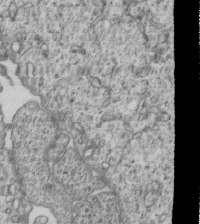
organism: Human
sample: MDA-MB-231 cells